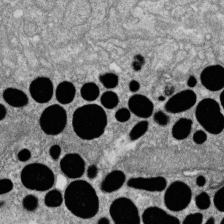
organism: Zebrafish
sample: Cilia; retinal pigment epithelium